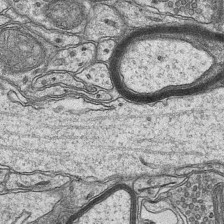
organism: Mouse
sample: CA1 Hippocampus